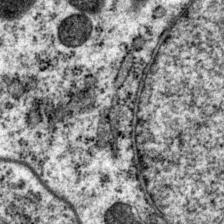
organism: P. pacificus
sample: Pharynx